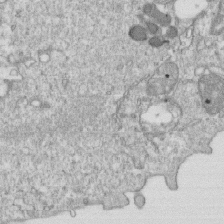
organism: Mouse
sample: Activated OT-1 CD8+ T cells